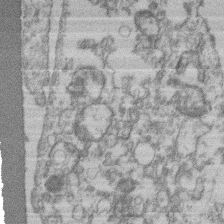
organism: Mouse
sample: T cell stromal cell synapse